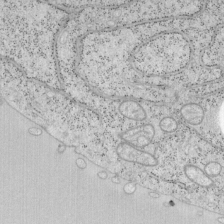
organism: Mouse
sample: OT-I killer T cells with ID8 ovarian cancer cells